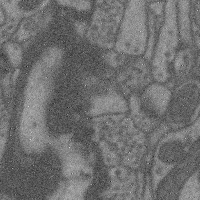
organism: Mouse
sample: Cerebral cortex